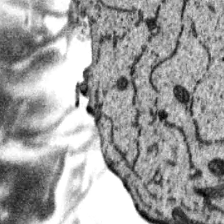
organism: Human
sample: HeLa cells